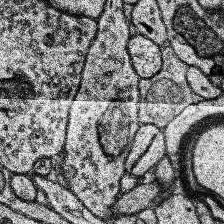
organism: Human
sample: Temporal Lobe